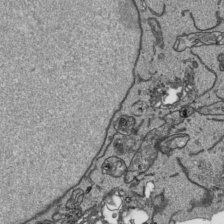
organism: Human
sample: Mitochondria in HCT116 cells